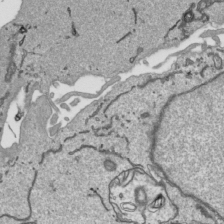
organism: Human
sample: Mitochondria in HCT116 cells